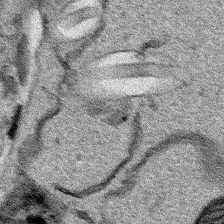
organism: Human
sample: Mitochondria in HCT116 cells